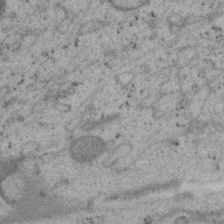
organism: Human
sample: HeLa cells